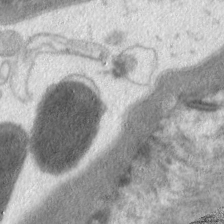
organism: C. elegans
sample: Pharynx